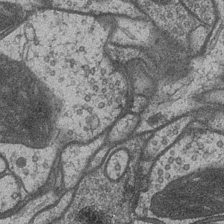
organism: Drosophila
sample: Optic medulla